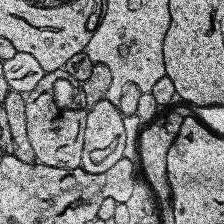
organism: Human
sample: Temporal Lobe